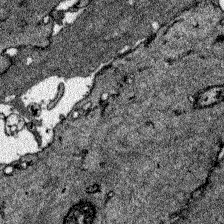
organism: Zebrafish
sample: Larval olfactory bulb